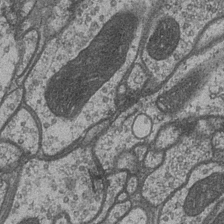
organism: Drosophila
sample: Optic medulla